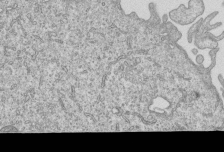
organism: Human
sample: MDA-MB-231 cells